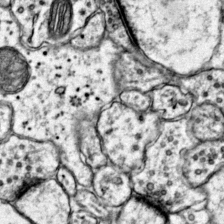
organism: Mouse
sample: Primary visual cortex